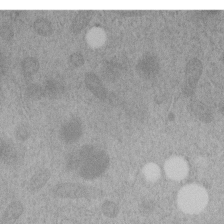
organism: C. elegans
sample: C. elegans embryo early stage